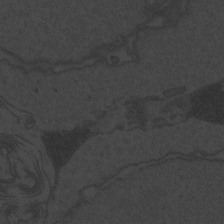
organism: Zebrafish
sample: Macrophage infected with Toxoplasma gondii